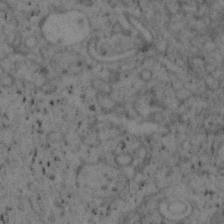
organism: Human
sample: HeLa cells